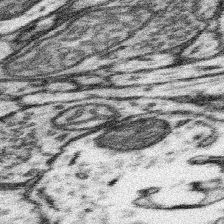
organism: Mouse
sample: Somatosensory cortex neuropil